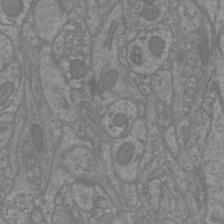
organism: Mouse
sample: Cortical neurons